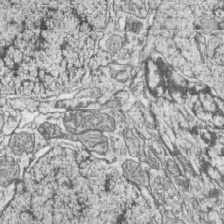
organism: Zebrafish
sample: synaptic ribbons in rod cells and cone cells